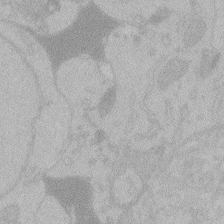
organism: Zebrafish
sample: Macrophage infected with Toxoplasma gondii